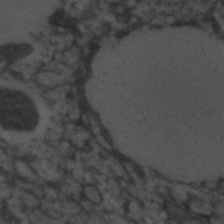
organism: C. elegans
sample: C. elegans embryo